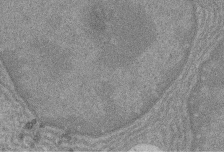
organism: Rat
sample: Salivary granule